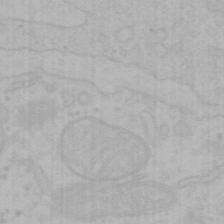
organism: Mouse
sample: Choroid plexus